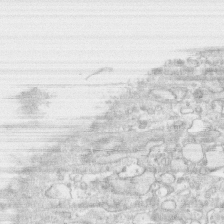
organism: Human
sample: CRL-1474